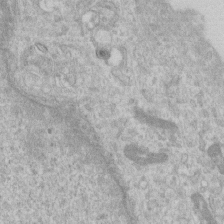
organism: Human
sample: Centriole in RPE cells